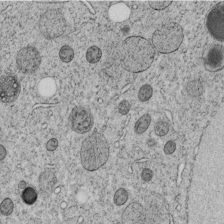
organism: C. elegans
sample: C. elegans embryo early stage